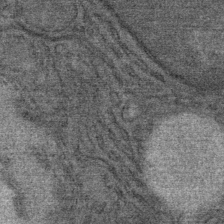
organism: Mouse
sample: Mouse Salivary gland